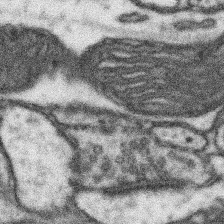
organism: Mouse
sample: Somatosensory cortex neuropil